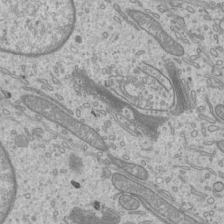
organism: Mouse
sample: Cilia; mouse epididymis